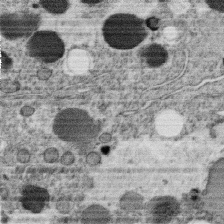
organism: C. elegans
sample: C. elegans oocyte; sperm cells